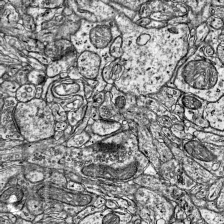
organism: Mouse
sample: Visual Cortex